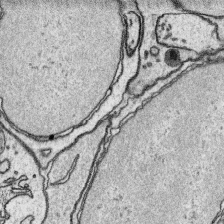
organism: Platynereis dumerilii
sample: Parapodia